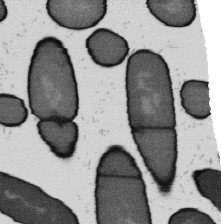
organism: B. subtilis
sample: Bacterial spore